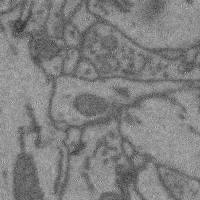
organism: Mouse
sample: Cerebral cortex